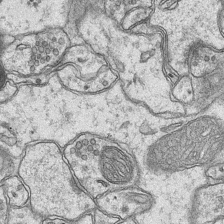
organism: Mouse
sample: CA1 Hippocampus